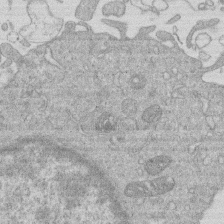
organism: Human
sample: Macrophage cells